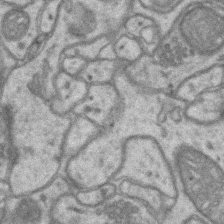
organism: Mouse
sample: CA1 Hippocampus